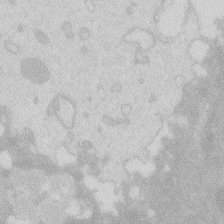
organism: Zebrafish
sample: Macrophage